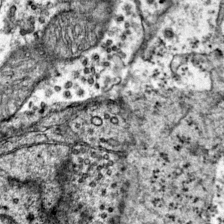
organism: Mouse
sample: Primary visual cortex